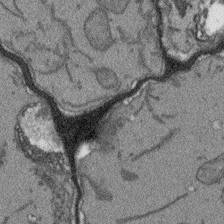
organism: Arabidopsis thaliana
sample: Root tip